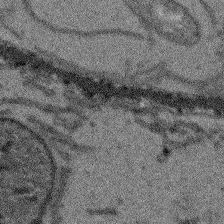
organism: Arabidopsis thaliana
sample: Root tip